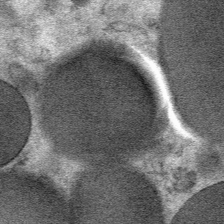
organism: Mouse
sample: Mouse Salivary gland